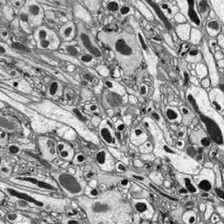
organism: Drosophila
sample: Optic lobe